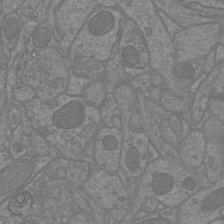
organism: Mouse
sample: Cortical neurons